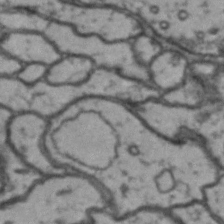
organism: Drosophila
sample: Brain